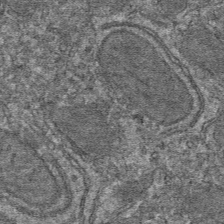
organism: Mouse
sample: Mouse hepatocytes